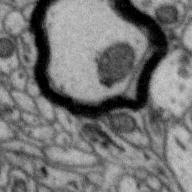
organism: Zebra finch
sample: Brain